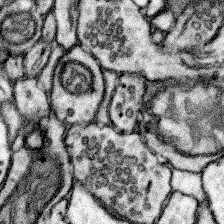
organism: Mouse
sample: Somatosensory cortex neuropil